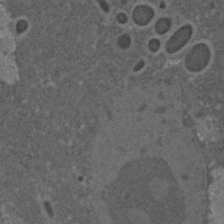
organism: C. elegans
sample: C. elegans embryo